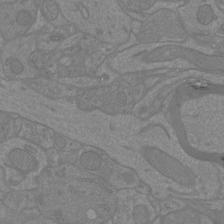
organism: Mouse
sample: Cortical neurons